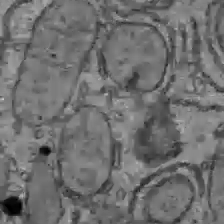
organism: C57BL Mouse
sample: Liver